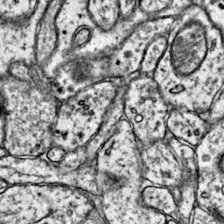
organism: Mouse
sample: Primary visual cortex